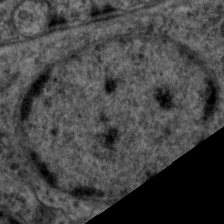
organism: C. elegans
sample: Pharynx